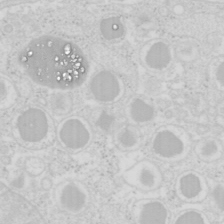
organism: Mouse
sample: Pancreas